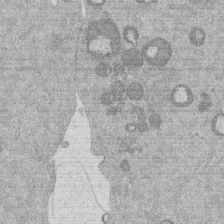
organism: Mouse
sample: Dividing mouse embryo 1 cell stage